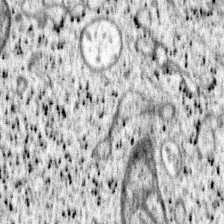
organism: Human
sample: HeLa cells